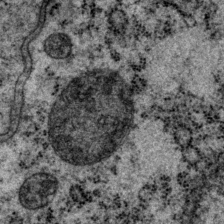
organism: P. pacificus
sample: Pharynx